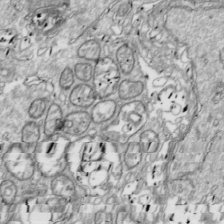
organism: Drosophila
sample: Cell division; meiosis; drosophila spermatocytes